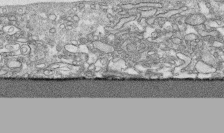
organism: Human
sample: CRL-1474